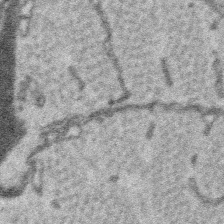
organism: Platynereis dumerilii